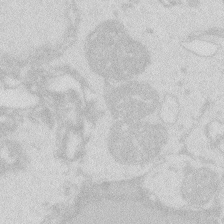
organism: Zebrafish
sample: Macrophage